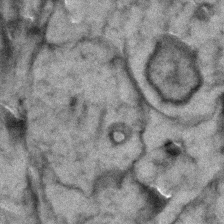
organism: Zebrafish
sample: Zebrafish embryo